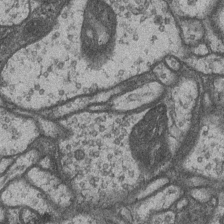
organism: Drosophila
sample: Optic medulla